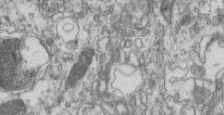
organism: Mouse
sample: Centriole in ependymal cells